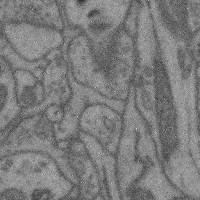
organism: Mouse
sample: Cerebral cortex